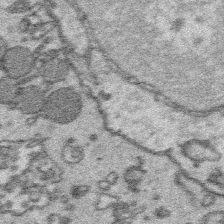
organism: Platynereis dumerilii